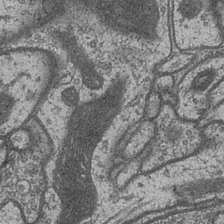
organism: Drosophila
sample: Optic medulla